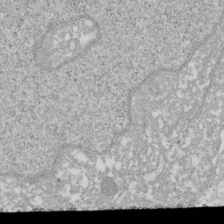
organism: Xenopus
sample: Cilia; centrioles in frog embryo cells